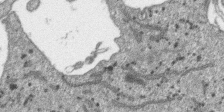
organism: Human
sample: Lung epithelial cells infected with SARS-CoV-2